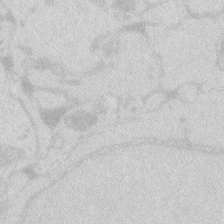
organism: Zebrafish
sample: Macrophage